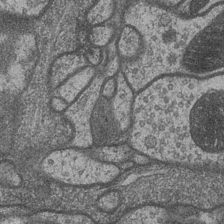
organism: Drosophila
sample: Optic medulla